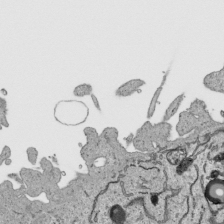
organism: Human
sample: Mitochondria in HCT116 cells